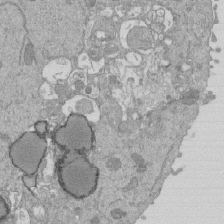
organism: Mouse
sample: ED-1 cell nuclei; centrioles